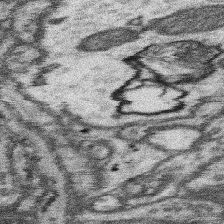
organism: Mouse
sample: Somatosensory cortex neuropil